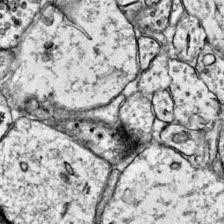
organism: Mouse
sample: Primary visual cortex